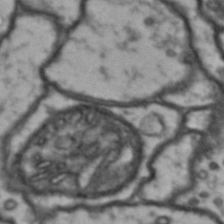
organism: Drosophila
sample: Brain